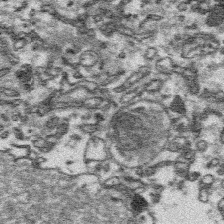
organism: Platynereis dumerilii